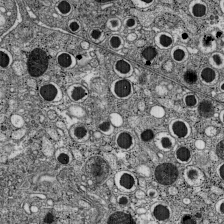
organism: C57BL Mouse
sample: Pancreatic islet